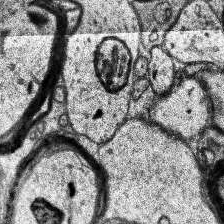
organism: Human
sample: Temporal Lobe